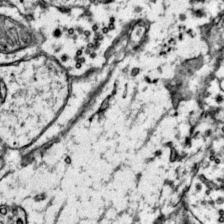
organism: Mouse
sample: Primary visual cortex